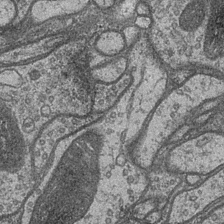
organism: Drosophila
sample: Optic medulla